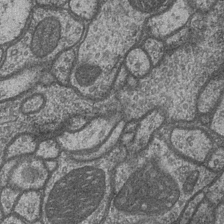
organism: Drosophila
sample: Optic medulla